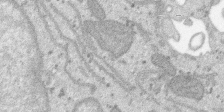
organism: Human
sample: Lung epithelial cells infected with SARS-CoV-2